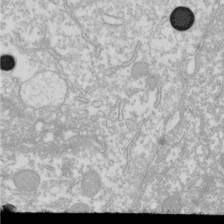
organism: Xenopus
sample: Cilia; centrioles in frog embryo cells